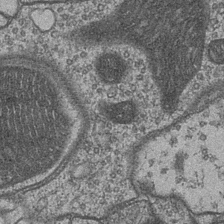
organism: Drosophila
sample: Optic medulla